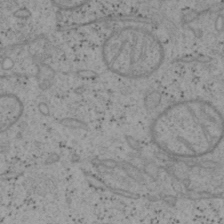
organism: Human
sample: HeLa cells